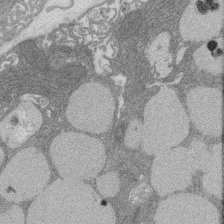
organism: Rat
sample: Salivary granule